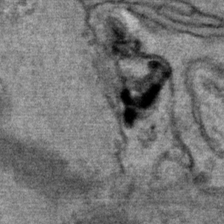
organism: Mouse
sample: Mouse Salivary gland